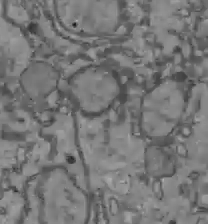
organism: C57BL Mouse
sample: Liver